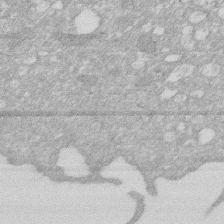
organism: Human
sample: HIV infected U937 cells